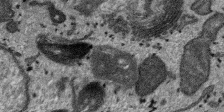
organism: Human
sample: Lung epithelial cells, uninfected (mock) control